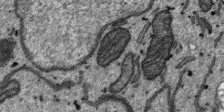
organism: Human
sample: Lung epithelial cells, uninfected (mock) control